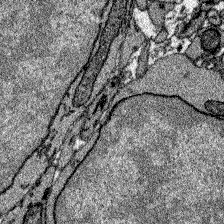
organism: Zebrafish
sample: Larval olfactory bulb